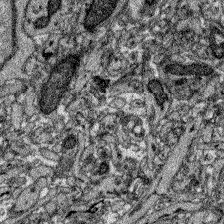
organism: Zebrafish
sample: Larval olfactory bulb